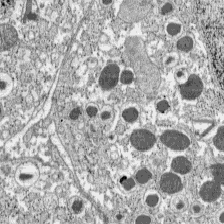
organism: C57BL Mouse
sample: Pancreatic islet